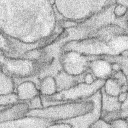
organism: Rabbit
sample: Retina